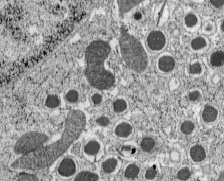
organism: C57BL Mouse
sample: Pancreatic islet